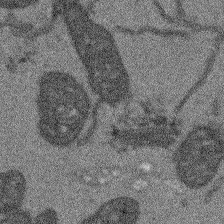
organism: Arabidopsis thaliana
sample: Root tip